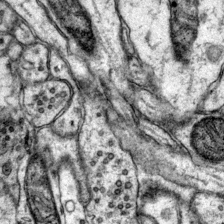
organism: Mouse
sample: Primary visual cortex